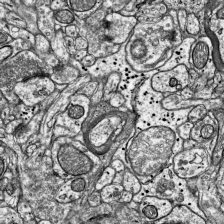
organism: Mouse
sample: Visual Cortex